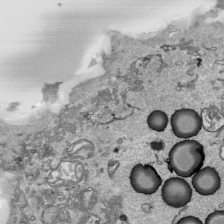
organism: Human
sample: Mitochondria in HCT116 cells